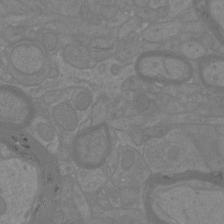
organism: Mouse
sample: Cortical neurons